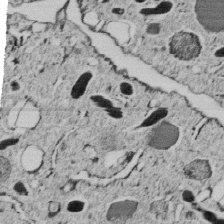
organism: C. elegans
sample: C. elegans embryo early stage